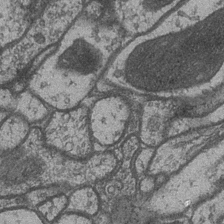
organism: Drosophila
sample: Optic medulla